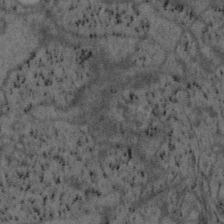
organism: Human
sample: HeLa cells